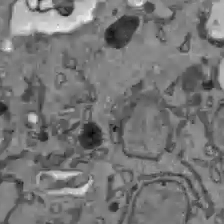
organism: C57BL Mouse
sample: Liver